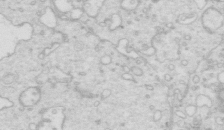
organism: Mouse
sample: Multiciliated cells